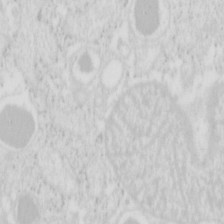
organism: Mouse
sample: Pancreas